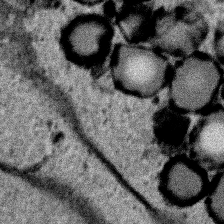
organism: Human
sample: Mitochondria in HCT116 cells